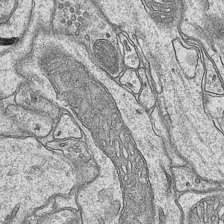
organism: Mouse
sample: CA1 Hippocampus